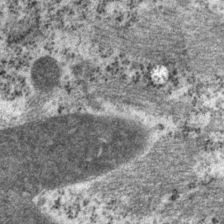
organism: P. pacificus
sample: Pharynx